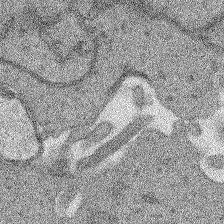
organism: Human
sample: HeLa cells